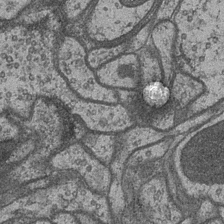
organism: Drosophila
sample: Optic medulla